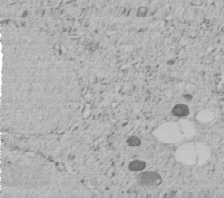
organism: C. elegans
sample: C. elegans embryo early stage